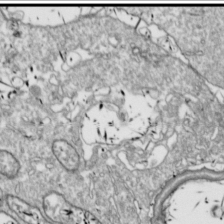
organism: Drosophila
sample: Cell division; meiosis; drosophila spermatocytes